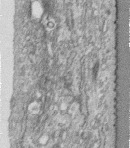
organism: Human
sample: Centriole in fibroblast cells